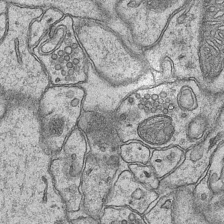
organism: Mouse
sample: CA1 Hippocampus